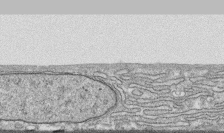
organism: Human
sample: CRL-1474